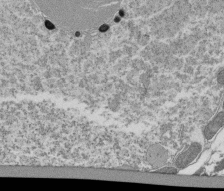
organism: Tetrahymena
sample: Cilia in tetrahymena